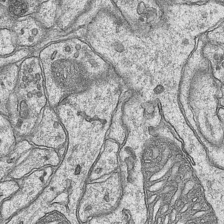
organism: Mouse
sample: CA1 Hippocampus